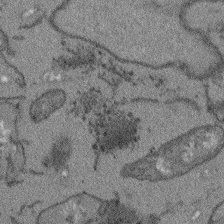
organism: Arabidopsis thaliana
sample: Root tip